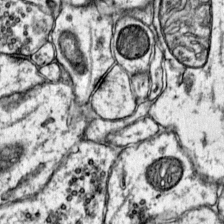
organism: Mouse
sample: Primary visual cortex